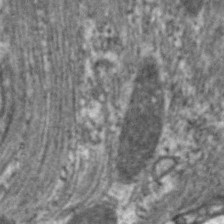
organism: C. elegans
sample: Pharynx